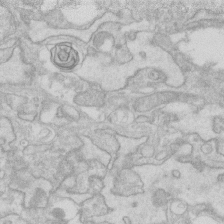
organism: Human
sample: Fibroblast cells